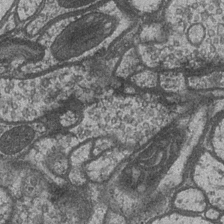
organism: Drosophila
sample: Optic medulla